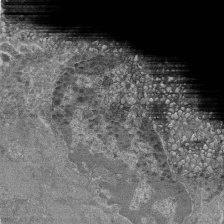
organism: Mouse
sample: Glomerulus